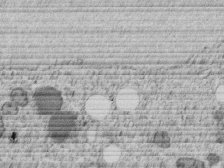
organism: C. elegans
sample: C. elegans embryo early stage